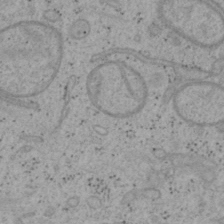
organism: Human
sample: HeLa cells